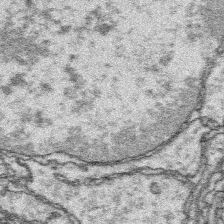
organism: Platynereis dumerilii